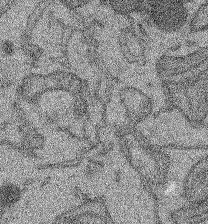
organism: Human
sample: HeLa cells